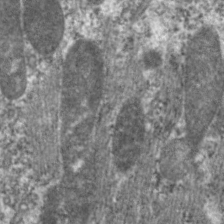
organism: C. elegans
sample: Pharynx